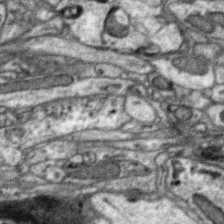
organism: Zebra finch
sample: Brain